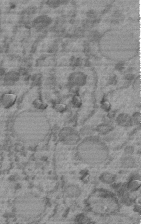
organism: C. elegans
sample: C. elegans embryo early stage